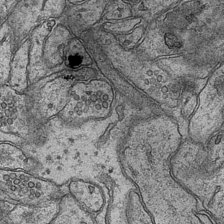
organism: Mouse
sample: CA1 Hippocampus